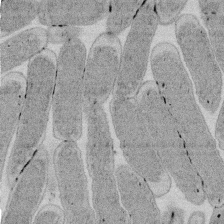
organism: E. coli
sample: Bacterial nucleoid